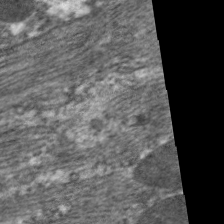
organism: C. elegans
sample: Pharynx